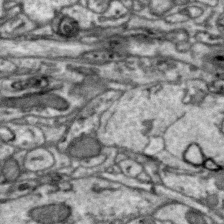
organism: Zebra finch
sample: Brain